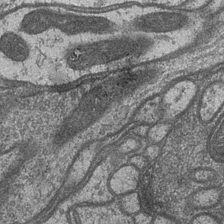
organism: Drosophila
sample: Optic medulla